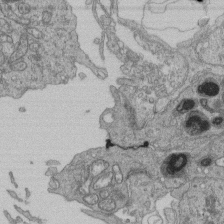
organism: Human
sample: Retinal organoid Rod and Cone cells